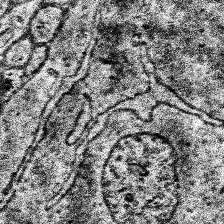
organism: Human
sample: Temporal Lobe